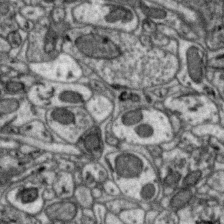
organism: Zebra finch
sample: Brain